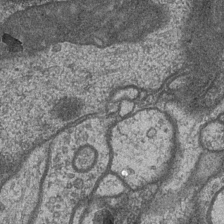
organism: Drosophila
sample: Optic medulla